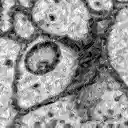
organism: Zebrafish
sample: Brain